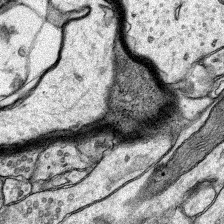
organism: Rat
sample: Hippocampus